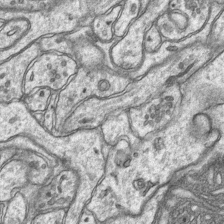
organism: Mouse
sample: CA1 Hippocampus